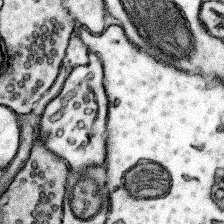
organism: Mouse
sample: Somatosensory cortex neuropil